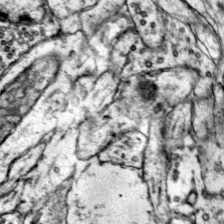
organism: Mouse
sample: Primary visual cortex